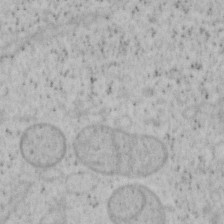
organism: Human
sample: HeLa cells